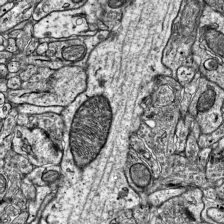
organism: Mouse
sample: Visual Cortex